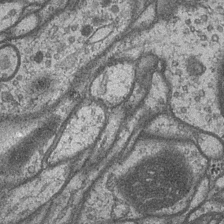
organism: Drosophila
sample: Optic medulla